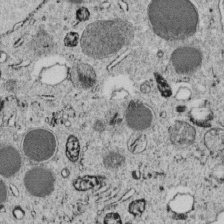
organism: C. elegans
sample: C. elegans embryo early stage